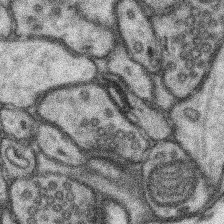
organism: Mouse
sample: Somatosensory cortex neuropil